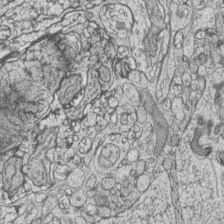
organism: Zebrafish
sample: synaptic ribbons in rod cells and cone cells